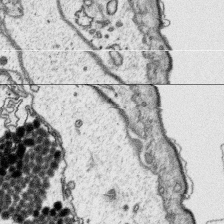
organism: Platynereis dumerilii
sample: Parapodia